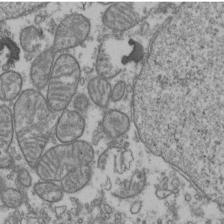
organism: Human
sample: Activated Jurkat CD4+ T cells